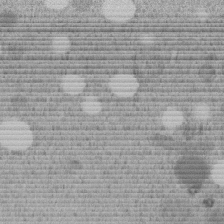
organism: C. elegans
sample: C. elegans embryo early stage